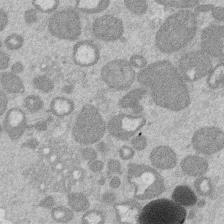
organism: Mouse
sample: Dividing mouse embryo 1 cell stage